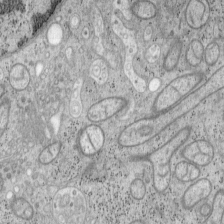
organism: Mouse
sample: OT-I killer T cells with ID8 ovarian cancer cells